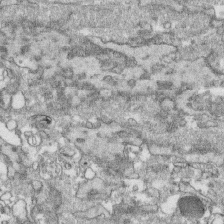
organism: Human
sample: CRL-1474